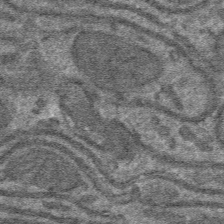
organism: Mouse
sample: Mouse hepatocytes